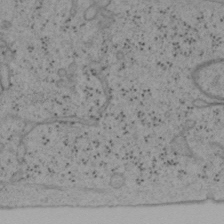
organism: Human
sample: HeLa cells